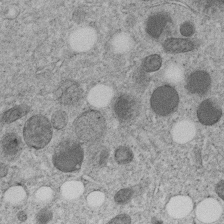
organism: C. elegans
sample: C. elegans embryo early stage